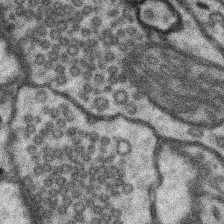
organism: Mouse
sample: Somatosensory cortex neuropil